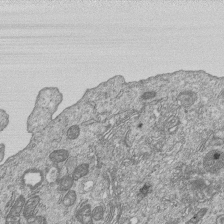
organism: Human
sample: MDA-MB-231 cells